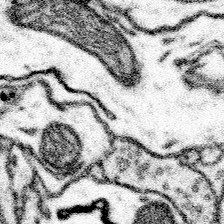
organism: Mouse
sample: Somatosensory cortex neuropil